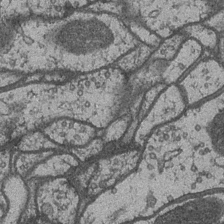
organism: Drosophila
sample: Optic medulla